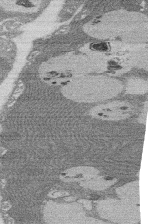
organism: Rat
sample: Salivary granule